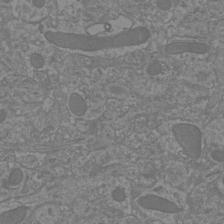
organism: Mouse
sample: Cortical neurons